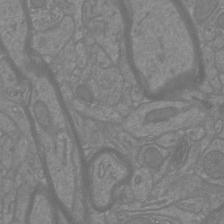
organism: Mouse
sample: Cortical neurons